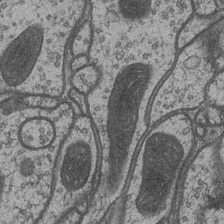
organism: Drosophila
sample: Optic medulla